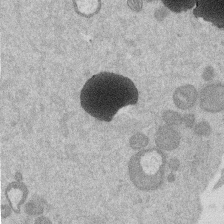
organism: Mouse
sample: Dividing mouse embryo 1 cell stage